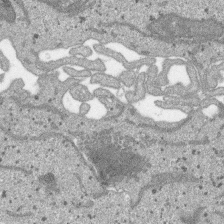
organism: Human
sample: Lung epithelial cells infected with SARS-CoV-2